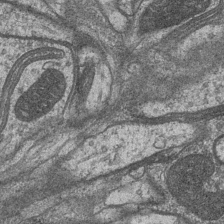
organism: Drosophila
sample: Optic medulla